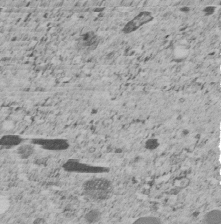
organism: C. elegans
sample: C. elegans embryo early stage